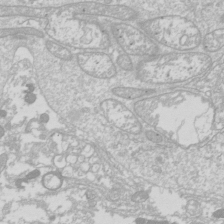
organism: Drosophila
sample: Cell division; meiosis; drosophila spermatocytes